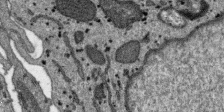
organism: Human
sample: Lung epithelial cells, uninfected (mock) control